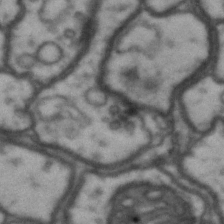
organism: Drosophila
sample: Brain